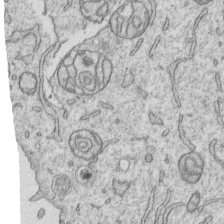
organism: Human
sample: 1205lu cells